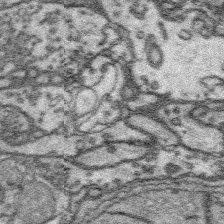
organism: Platynereis dumerilii